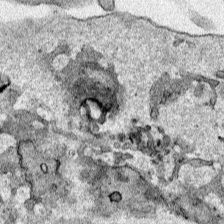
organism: Human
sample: Mitochondria in HCT116 cells